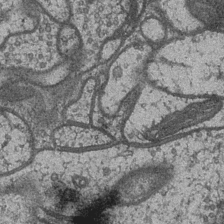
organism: Drosophila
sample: Optic medulla